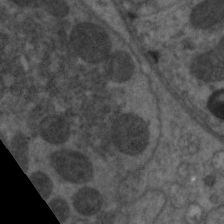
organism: C. elegans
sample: Pharynx